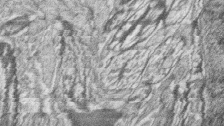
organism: Zebrafish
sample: synaptic ribbons in rod cells and cone cells